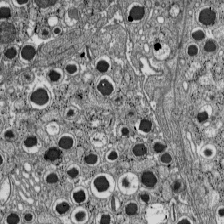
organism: C57BL Mouse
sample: Pancreatic islet